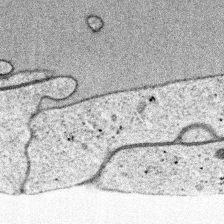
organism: Human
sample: HeLa cells